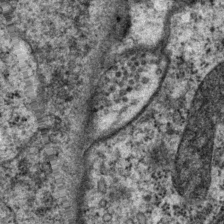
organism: P. pacificus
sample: Pharynx